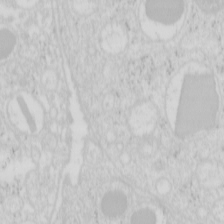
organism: Mouse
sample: Pancreas